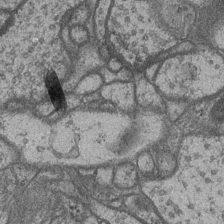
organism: Drosophila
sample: Optic medulla